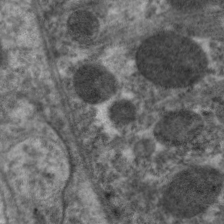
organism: C. elegans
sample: Pharynx